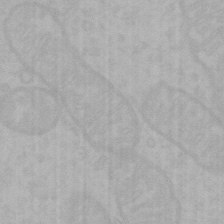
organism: Mouse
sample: Choroid plexus